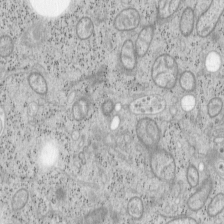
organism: Mouse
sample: OT-I killer T cells with ID8 ovarian cancer cells